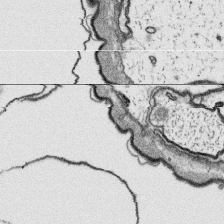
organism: Platynereis dumerilii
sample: Parapodia